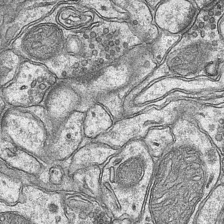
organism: Mouse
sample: CA1 Hippocampus